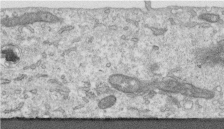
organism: Human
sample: Centriole in RPE cells